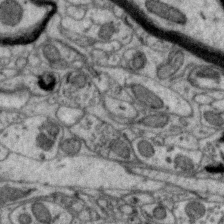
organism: Zebra finch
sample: Brain